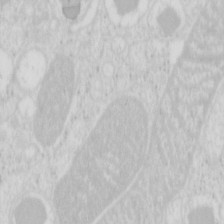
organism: Mouse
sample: Pancreas